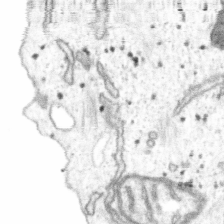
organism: Human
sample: HeLa cells